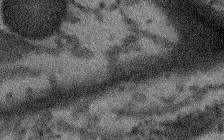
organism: Arabidopsis thaliana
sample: Root tip